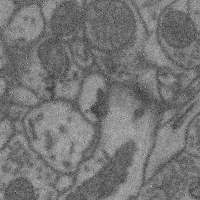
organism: Mouse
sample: Cerebral cortex